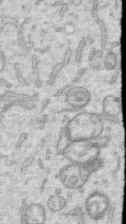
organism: Human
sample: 1205lu cells